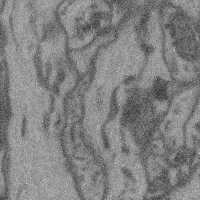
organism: Mouse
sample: Cerebral cortex